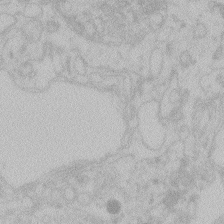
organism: Zebrafish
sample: Macrophage infected with Toxoplasma gondii